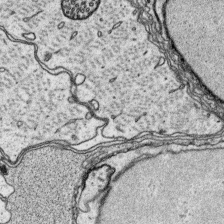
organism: Platynereis dumerilii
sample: Parapodia